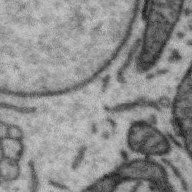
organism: Zebra finch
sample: Brain